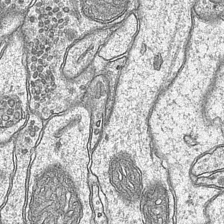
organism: Mouse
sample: CA1 Hippocampus